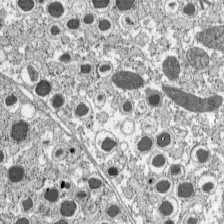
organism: C57BL Mouse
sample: Pancreatic islet